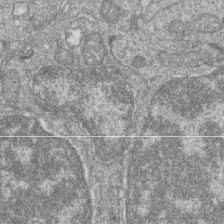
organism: Zebrafish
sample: Cilia; retinal pigment epithelium